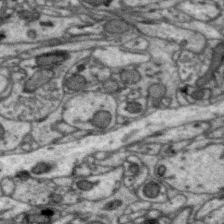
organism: Zebra finch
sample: Brain